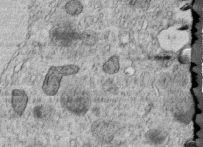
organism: C. elegans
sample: C. elegans embryo early stage